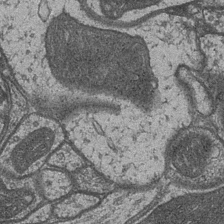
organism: Drosophila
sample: Optic medulla